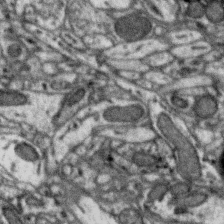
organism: Zebra finch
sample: Brain